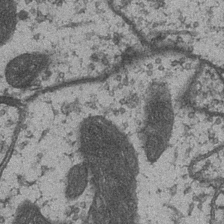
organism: Drosophila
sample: Optic medulla